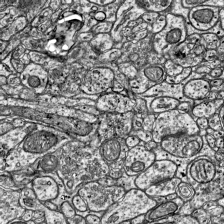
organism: Mouse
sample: Visual Cortex